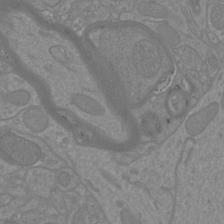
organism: Mouse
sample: Cortical neurons